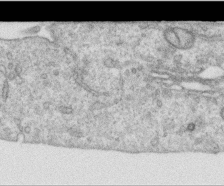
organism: Human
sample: Centriole in RPE cells